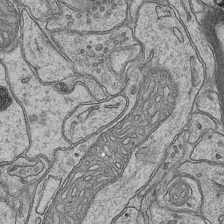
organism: Mouse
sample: CA1 Hippocampus